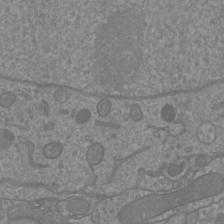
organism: Mouse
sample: Cortical neurons